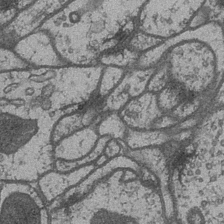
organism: Drosophila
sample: Optic medulla